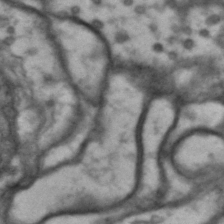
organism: Drosophila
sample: Brain